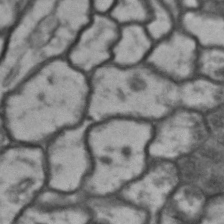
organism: Drosophila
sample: Brain